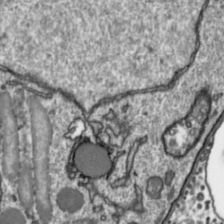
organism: Toxoplasma gondii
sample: Parasites in a vacuole inside a host cell